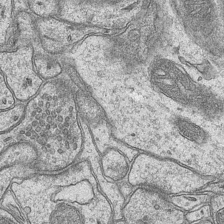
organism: Mouse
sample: CA1 Hippocampus